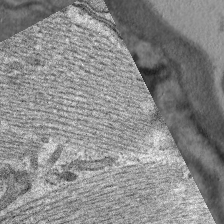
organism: C. elegans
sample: Pharynx